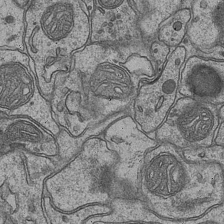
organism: Mouse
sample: CA1 Hippocampus